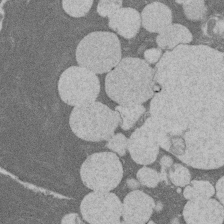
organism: Rat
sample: Salivary granule